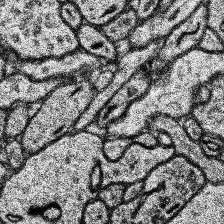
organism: Human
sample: Temporal Lobe